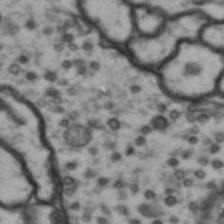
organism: Drosophila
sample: Brain